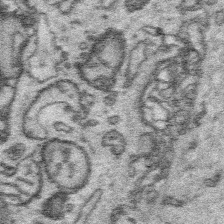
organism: Platynereis dumerilii